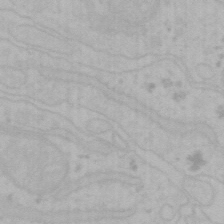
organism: Mouse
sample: Choroid plexus